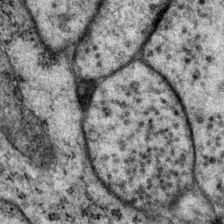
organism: P. pacificus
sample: Pharynx